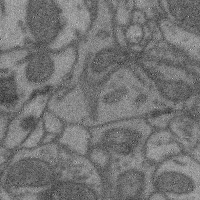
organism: Mouse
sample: Cerebral cortex